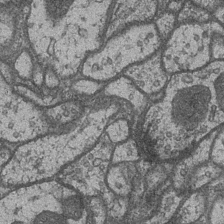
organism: Drosophila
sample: Optic medulla